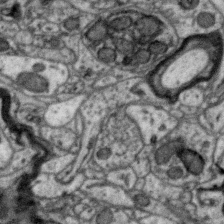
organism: Zebra finch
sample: Brain